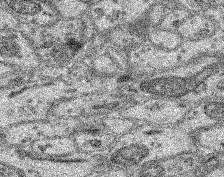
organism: Mouse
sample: Retina